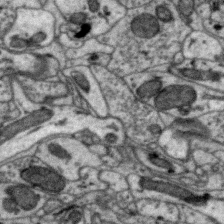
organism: Zebra finch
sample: Brain